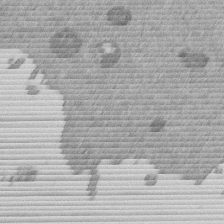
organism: Mouse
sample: Dividing mouse embryo 1 cell stage